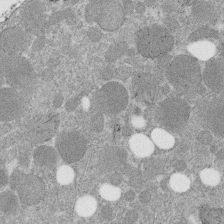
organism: C. elegans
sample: C. elegans embryo early stage